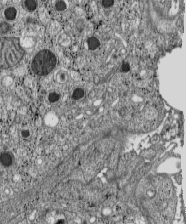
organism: C57BL Mouse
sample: Pancreatic islet